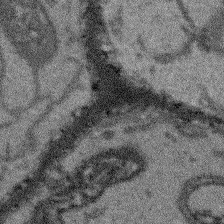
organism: Arabidopsis thaliana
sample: Root tip